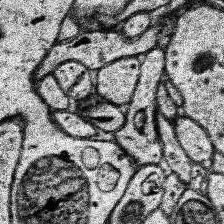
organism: Human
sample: Temporal Lobe